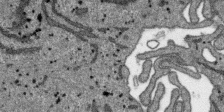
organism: Human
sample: Lung epithelial cells, uninfected (mock) control